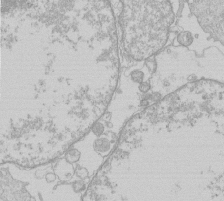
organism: Human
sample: Macrophage cells